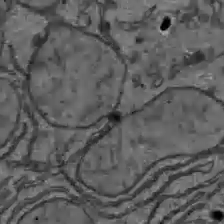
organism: C57BL Mouse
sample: Liver